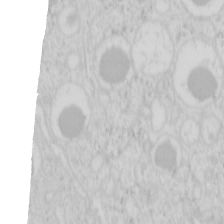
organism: Mouse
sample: Pancreas